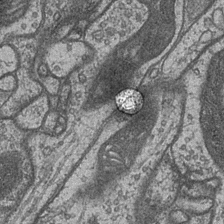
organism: Drosophila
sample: Optic medulla